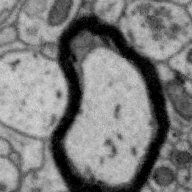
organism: Zebra finch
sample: Brain